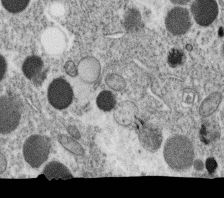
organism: C. elegans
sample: C. elegans oocyte; sperm cells